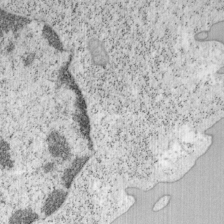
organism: Mouse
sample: OT-I killer T cells with ID8 ovarian cancer cells